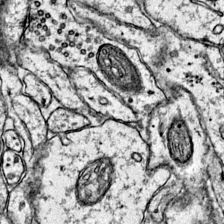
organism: Mouse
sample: Primary visual cortex